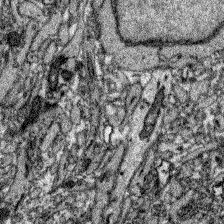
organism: Zebrafish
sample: Larval olfactory bulb